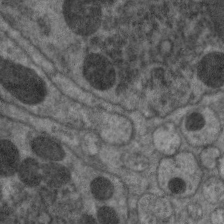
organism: C. elegans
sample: Pharynx